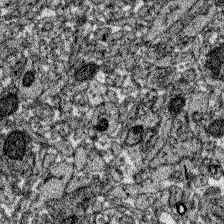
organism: Zebrafish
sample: Larval olfactory bulb